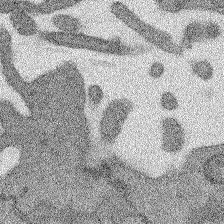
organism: Human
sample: HeLa cells